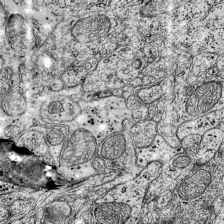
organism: Mouse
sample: Visual Cortex